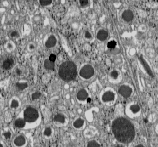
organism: C57BL Mouse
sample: Pancreatic islet